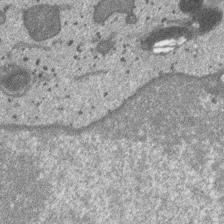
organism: Human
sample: Lung epithelial cells infected with SARS-CoV-2